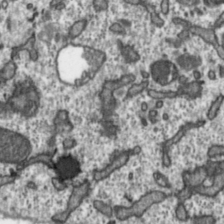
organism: Toxoplasma gondii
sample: Parasites in a vacuole inside a host cell